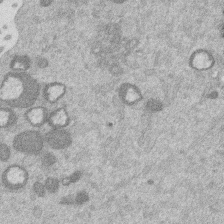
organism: Mouse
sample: Dividing mouse embryo 1 cell stage